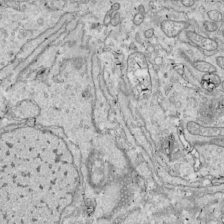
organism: Drosophila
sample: Cell division; meiosis; drosophila spermatocytes